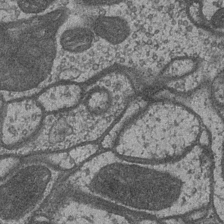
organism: Drosophila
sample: Optic medulla